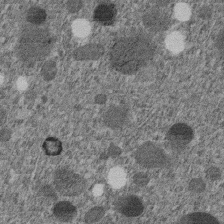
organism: C. elegans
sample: C. elegans embryo early stage